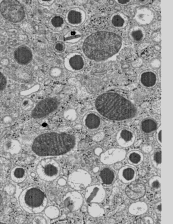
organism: C57BL Mouse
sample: Pancreatic islet